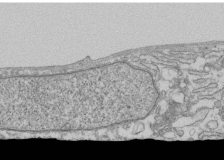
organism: Human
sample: Fibroblast cells